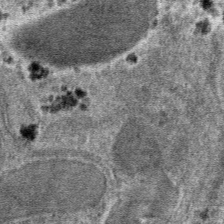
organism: Mouse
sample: Mouse hepatocytes